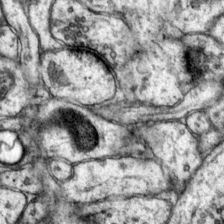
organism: Mouse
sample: Primary visual cortex